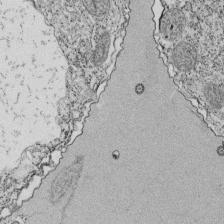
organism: Tetrahymena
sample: Cilia in tetrahymena